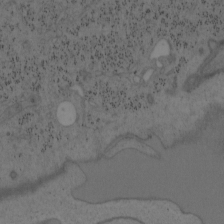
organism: Mouse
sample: OT-I killer T cells with ID8 ovarian cancer cells